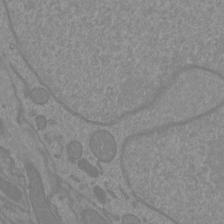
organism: Mouse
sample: Cortical neurons